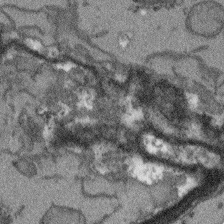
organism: Arabidopsis thaliana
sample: Root tip